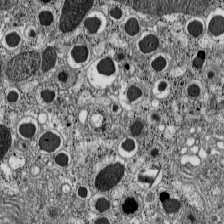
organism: C57BL Mouse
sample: Pancreatic islet